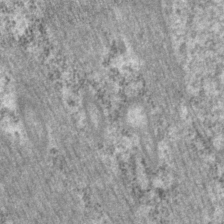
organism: P. pacificus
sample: Pharynx